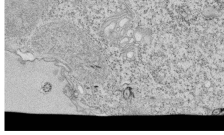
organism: Tetrahymena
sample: Cilia in tetrahymena